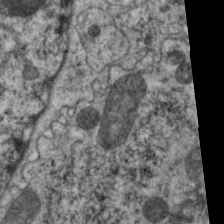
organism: C. elegans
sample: Pharynx